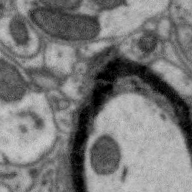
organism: Zebra finch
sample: Brain